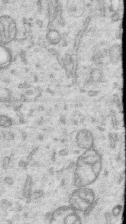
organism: Human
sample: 1205lu cells